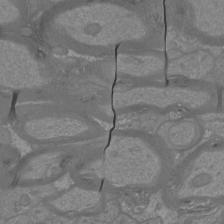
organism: Mouse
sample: Cortical neurons